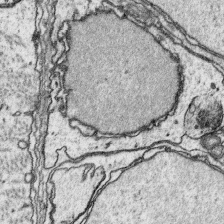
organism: Platynereis dumerilii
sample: Parapodia